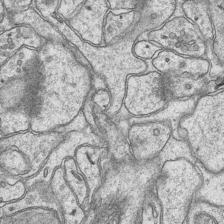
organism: Mouse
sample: CA1 Hippocampus